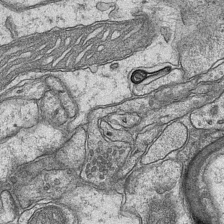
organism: Mouse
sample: CA1 Hippocampus